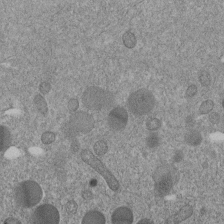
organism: C. elegans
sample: C. elegans embryo early stage